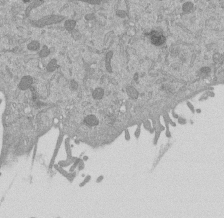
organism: Mouse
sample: ED-1 cell nuclei; centrioles